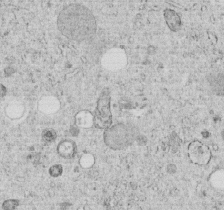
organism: C. elegans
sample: C. elegans embryo early stage